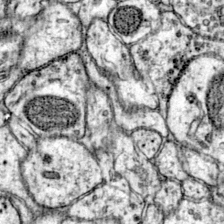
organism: Mouse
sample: Primary visual cortex